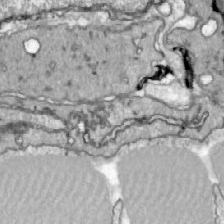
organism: Zebrafish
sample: Actinotrichia fibers